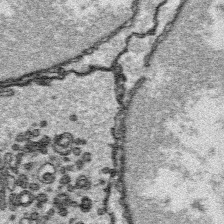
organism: Platynereis dumerilii